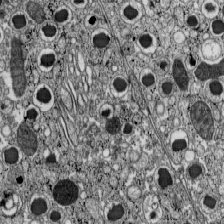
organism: C57BL Mouse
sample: Pancreatic islet